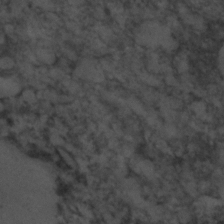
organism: C. elegans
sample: C. elegans embryo